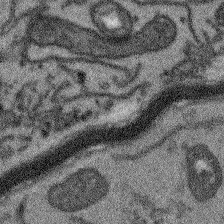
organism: Arabidopsis thaliana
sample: Root tip